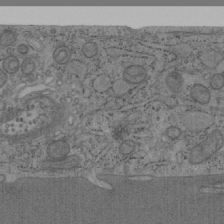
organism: Human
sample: HeLa cells